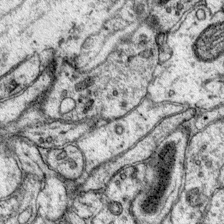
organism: Mouse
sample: Primary visual cortex